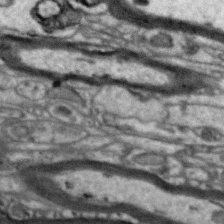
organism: Zebra finch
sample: Brain